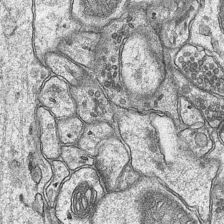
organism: Mouse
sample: CA1 Hippocampus